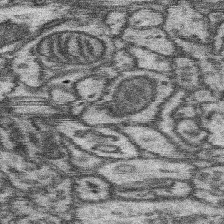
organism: Mouse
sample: Somatosensory cortex neuropil